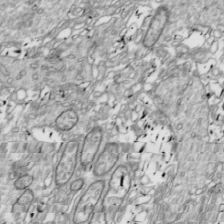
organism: Drosophila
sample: Cell division; meiosis; drosophila spermatocytes